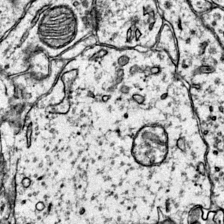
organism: Mouse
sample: Primary visual cortex